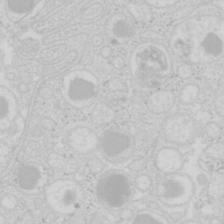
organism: Mouse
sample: Pancreas